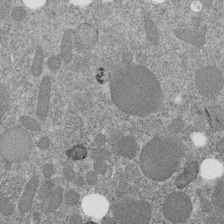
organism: C. elegans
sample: C. elegans embryo early stage